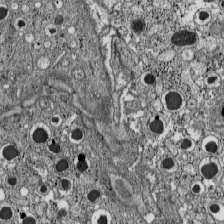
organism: C57BL Mouse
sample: Pancreatic islet